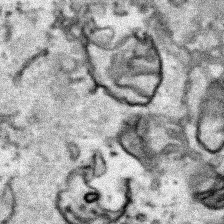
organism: Human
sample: Mitochondria in HCT116 cells